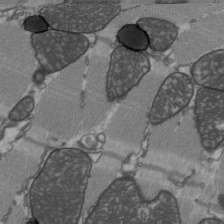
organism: C57BL Mouse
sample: Heart